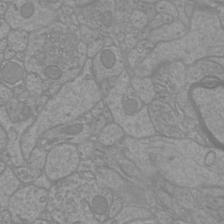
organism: Mouse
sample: Cortical neurons